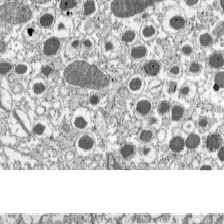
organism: C57BL Mouse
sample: Pancreatic islet